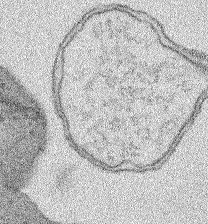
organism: Human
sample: HeLa cells